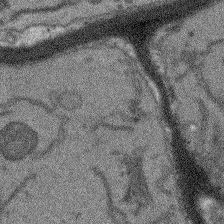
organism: Arabidopsis thaliana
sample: Root tip